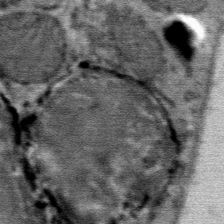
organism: Mouse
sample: Mouse Salivary gland